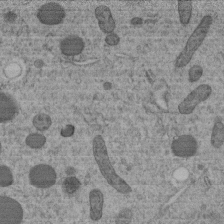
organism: C. elegans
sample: C. elegans embryo early stage